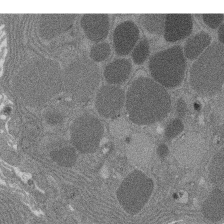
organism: Rat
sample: Salivary granule